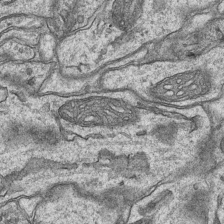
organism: Mouse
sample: CA1 Hippocampus